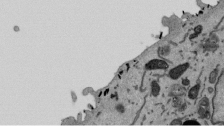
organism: Mouse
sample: ED-1 cell nuclei; centrioles